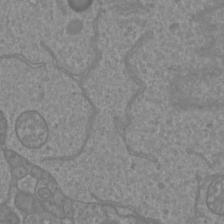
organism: Mouse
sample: Cortical neurons